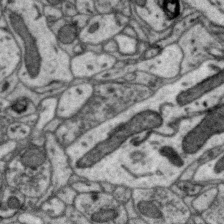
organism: Zebra finch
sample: Brain